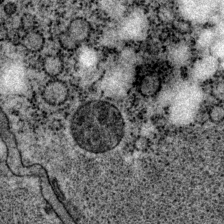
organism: P. pacificus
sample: Pharynx